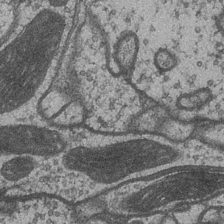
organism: Drosophila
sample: Optic medulla